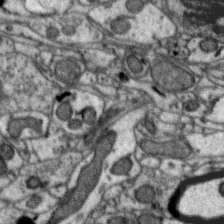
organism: Zebra finch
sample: Brain